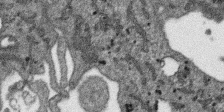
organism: Human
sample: Lung epithelial cells infected with SARS-CoV-2